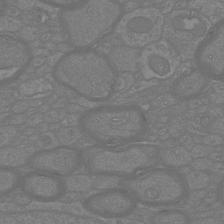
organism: Mouse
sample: Cortical neurons